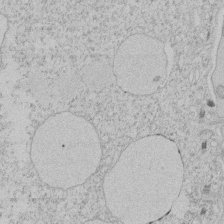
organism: Tetrahymena